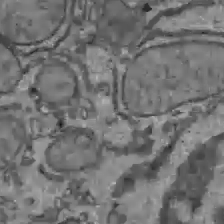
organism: C57BL Mouse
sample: Liver